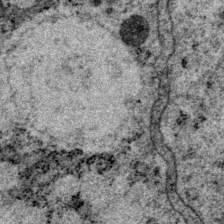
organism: P. pacificus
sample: Pharynx